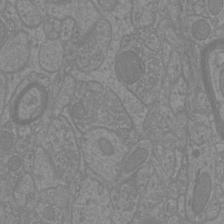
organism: Mouse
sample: Cortical neurons